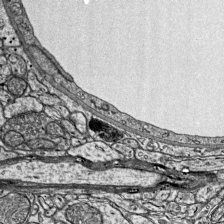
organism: Mouse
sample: Visual Cortex